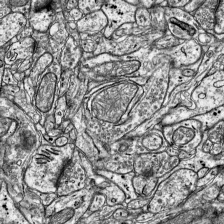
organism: Mouse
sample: Visual Cortex